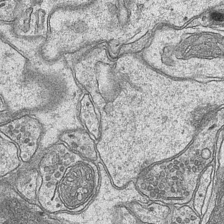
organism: Mouse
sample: CA1 Hippocampus